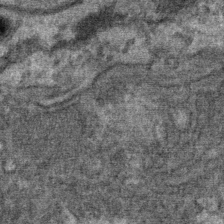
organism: Mouse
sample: Mouse Salivary gland